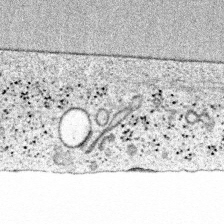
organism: Human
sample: HeLa cells